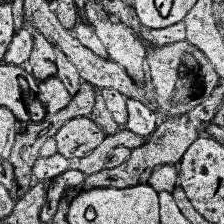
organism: Human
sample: Temporal Lobe